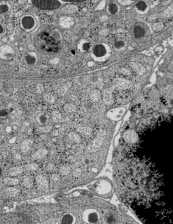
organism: C57BL Mouse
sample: Pancreatic islet